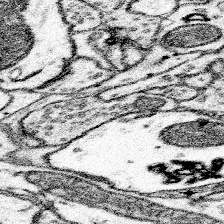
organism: Mouse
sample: Somatosensory cortex neuropil